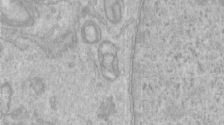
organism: Human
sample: Centriole in RPE cells